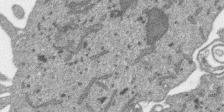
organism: Human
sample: Lung epithelial cells infected with SARS-CoV-2